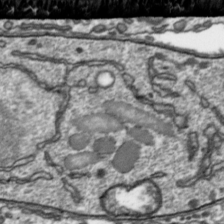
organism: Toxoplasma gondii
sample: Parasites in a vacuole inside a host cell